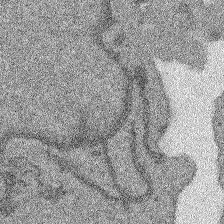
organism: Human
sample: HeLa cells